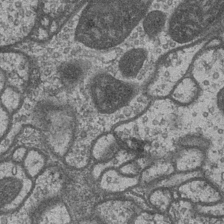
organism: Drosophila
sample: Optic medulla